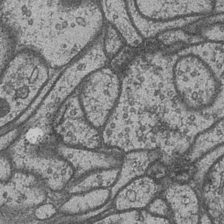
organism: Drosophila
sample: Optic medulla